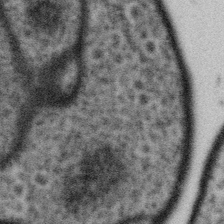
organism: Gemmata obscuriglobus